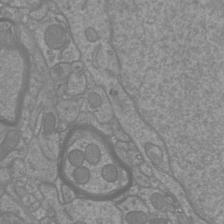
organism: Mouse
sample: Cortical neurons